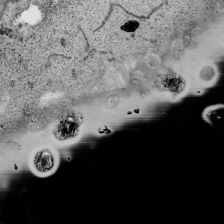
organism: Human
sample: Mitochondria in HCT116 cells